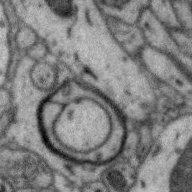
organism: Zebra finch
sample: Brain